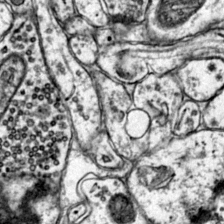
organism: Mouse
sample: Primary visual cortex